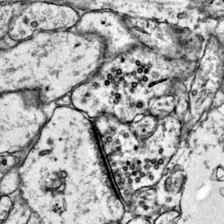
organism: Mouse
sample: Primary visual cortex